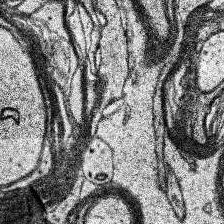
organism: Human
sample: Temporal Lobe